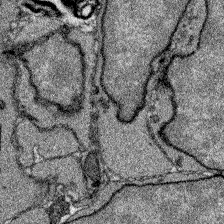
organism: Zebrafish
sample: Larval olfactory bulb